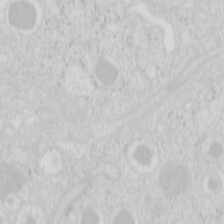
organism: Mouse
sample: Pancreas